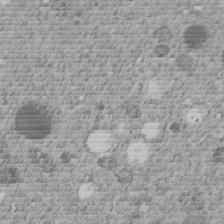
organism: C. elegans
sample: C. elegans embryo early stage